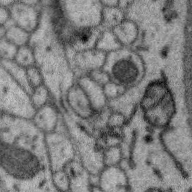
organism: Zebra finch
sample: Brain